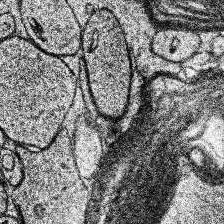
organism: Human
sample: Temporal Lobe